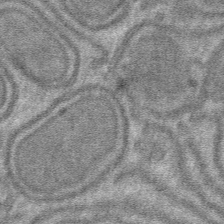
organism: Mouse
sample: Mouse hepatocytes